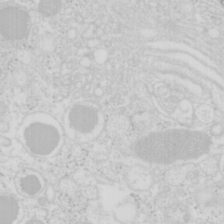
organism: Mouse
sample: Pancreas